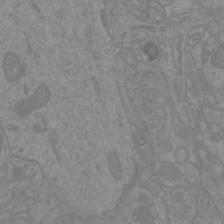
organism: Mouse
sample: Cortical neurons